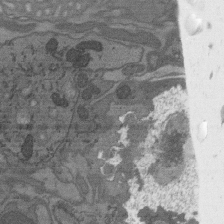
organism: C. elegans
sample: AFD neurons C. elegans